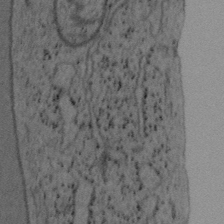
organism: Human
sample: HeLa cells